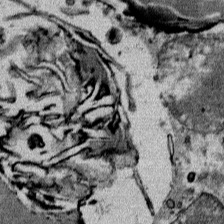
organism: Mouse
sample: Mouse Salivary gland